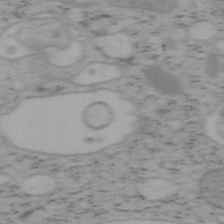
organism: Mouse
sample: OT-I killer T cells with ID8 ovarian cancer cells